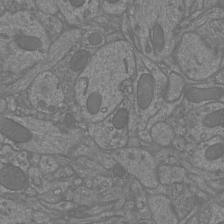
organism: Mouse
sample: Cortical neurons